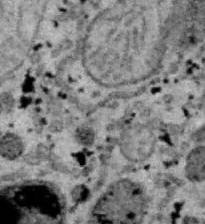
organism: Mouse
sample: Liver from an obese (ob/ob) mouse